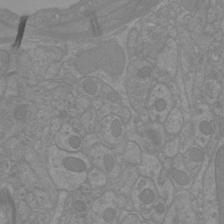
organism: Mouse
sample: Cortical neurons